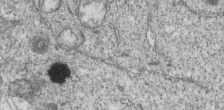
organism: Human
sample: HeLa cell HIV synapse